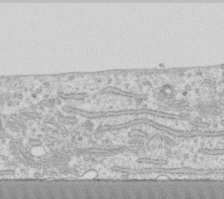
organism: Human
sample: Fibroblast cells